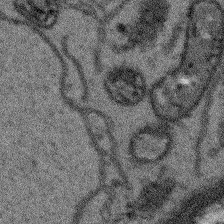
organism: Arabidopsis thaliana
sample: Root tip